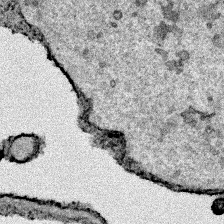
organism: Human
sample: Mitochondria in HCT116 cells